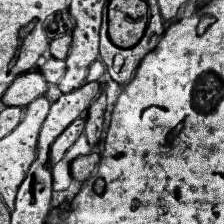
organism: Human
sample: Temporal Lobe